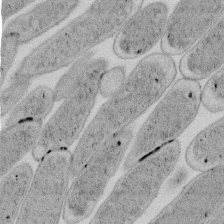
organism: E. coli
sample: Bacterial nucleoid